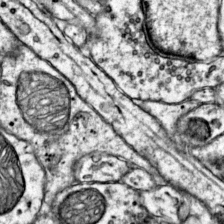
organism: Mouse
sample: Primary visual cortex